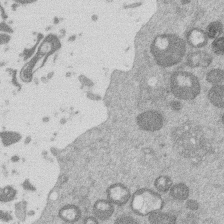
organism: Mouse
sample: Dividing mouse embryo 1 cell stage